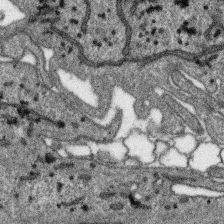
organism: Human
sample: Lung epithelial cells infected with SARS-CoV-2